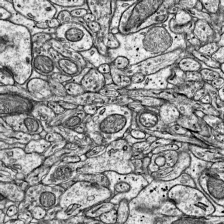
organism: Mouse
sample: Visual Cortex